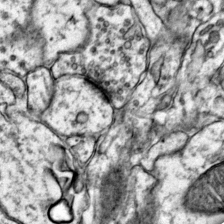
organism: Mouse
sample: Primary visual cortex